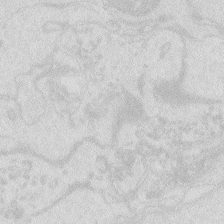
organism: Zebrafish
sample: Macrophage